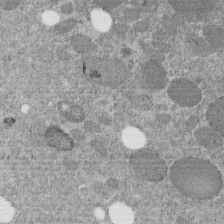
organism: C. elegans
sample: C. elegans embryo early stage